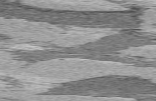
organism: C57BL Mouse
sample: Heart